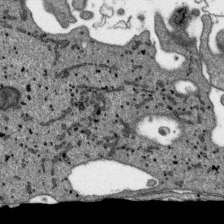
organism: Human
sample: Lung epithelial cells, uninfected (mock) control